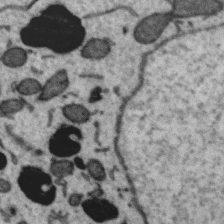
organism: Zebra finch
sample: Brain